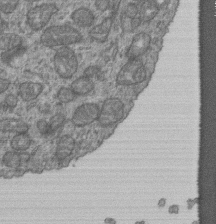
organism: Human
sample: Retinal organoid Rod and Cone cells